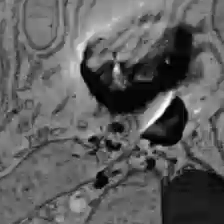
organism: C57BL Mouse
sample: Liver